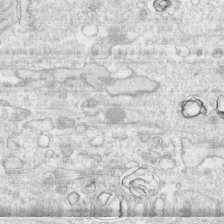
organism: Human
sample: CRL-1474